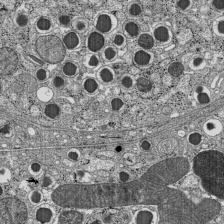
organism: C57BL Mouse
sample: Pancreatic islet